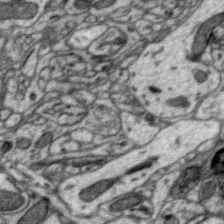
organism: Zebra finch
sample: Brain